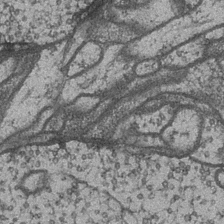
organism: Drosophila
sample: Optic medulla